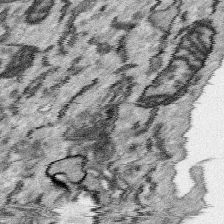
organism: Human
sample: HeLa cells